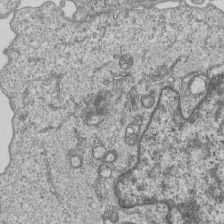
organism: Human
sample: MDA-MB-231 cells